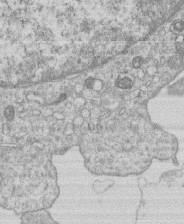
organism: Human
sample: Macrophage cells